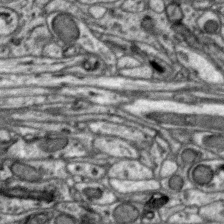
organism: Zebra finch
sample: Brain